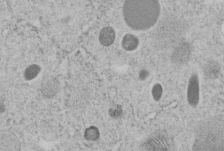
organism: C. elegans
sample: C. elegans embryo early stage